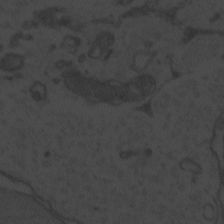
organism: Zebrafish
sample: Macrophage infected with Toxoplasma gondii